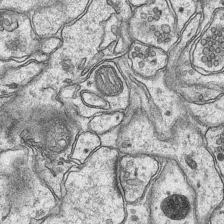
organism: Mouse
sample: CA1 Hippocampus